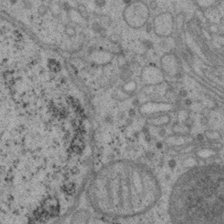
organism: Human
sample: HeLa cells